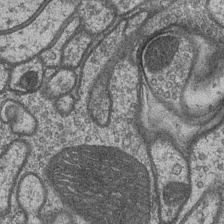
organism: Drosophila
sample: Optic medulla